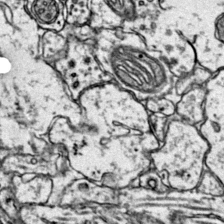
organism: Mouse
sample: Primary visual cortex